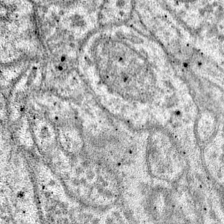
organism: Mouse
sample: Primary visual cortex